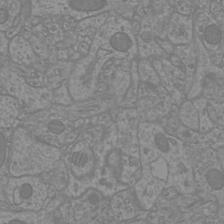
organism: Mouse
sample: Cortical neurons